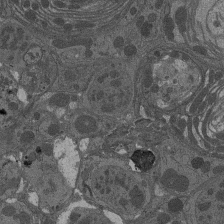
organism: Drosophila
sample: Antenna